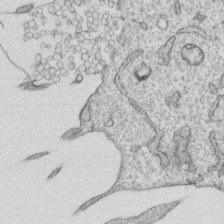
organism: Human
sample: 1205lu cells